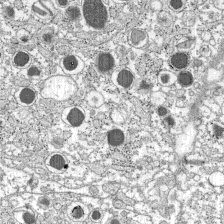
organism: C57BL Mouse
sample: Pancreatic islet